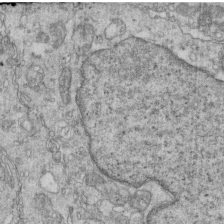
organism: Mouse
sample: Multiciliated cells